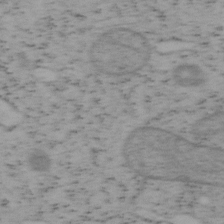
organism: Mouse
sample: OT-I killer T cells with ID8 ovarian cancer cells